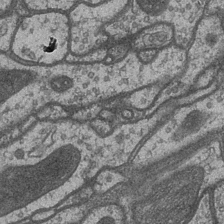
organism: Drosophila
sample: Optic medulla